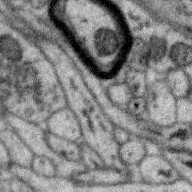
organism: Zebra finch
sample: Brain